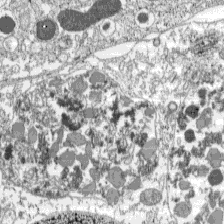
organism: C57BL Mouse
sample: Pancreatic islet